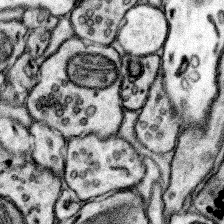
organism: Mouse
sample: Somatosensory cortex neuropil